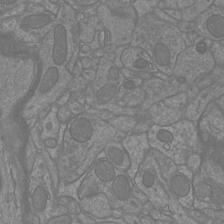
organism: Mouse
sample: Cortical neurons